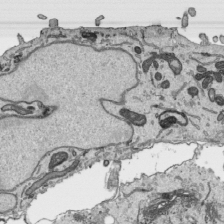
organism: Human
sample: Mitochondria in HCT116 cells